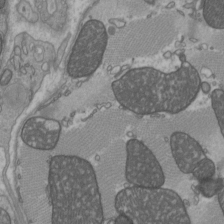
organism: C57BL Mouse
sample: Heart